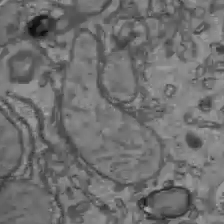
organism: C57BL Mouse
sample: Liver